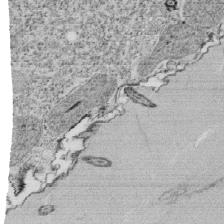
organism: Tetrahymena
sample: Cilia in tetrahymena